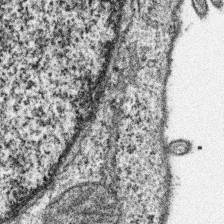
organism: Human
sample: HeLa cells